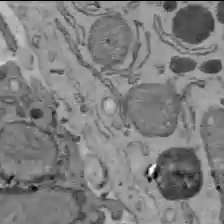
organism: C57BL Mouse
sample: Liver